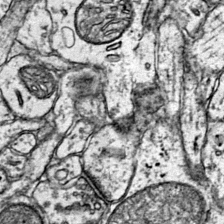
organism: Mouse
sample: Primary visual cortex